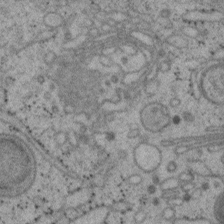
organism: Human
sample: HeLa cells